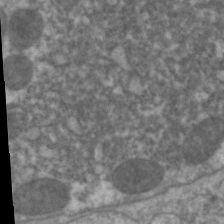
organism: C. elegans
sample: Pharynx